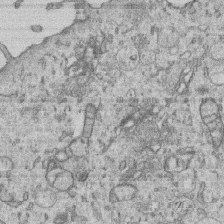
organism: Human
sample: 1205lu cells